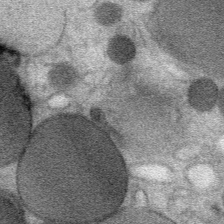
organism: Mouse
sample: Mouse Salivary gland